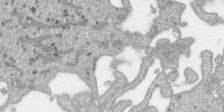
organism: Human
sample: Lung epithelial cells infected with SARS-CoV-2